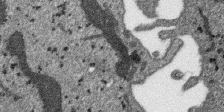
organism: Human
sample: Lung epithelial cells infected with SARS-CoV-2